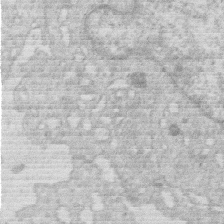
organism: Human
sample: Macrophage cells